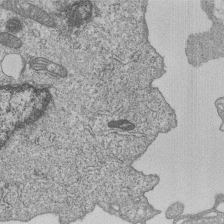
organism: Human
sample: MDA-MB-231 cells